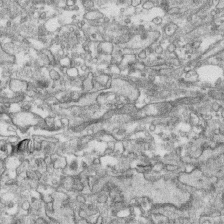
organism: Human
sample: CRL-1474